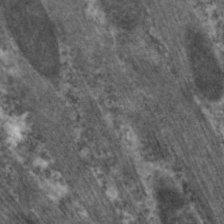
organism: C. elegans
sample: Pharynx